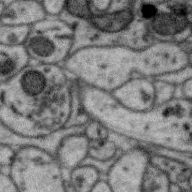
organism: Zebra finch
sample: Brain